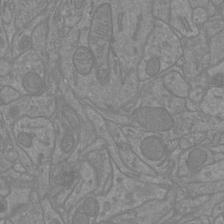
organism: Mouse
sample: Cortical neurons